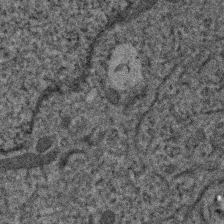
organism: Human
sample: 1205lu cells